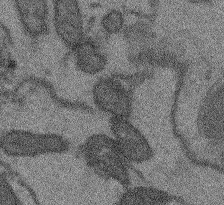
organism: Arabidopsis thaliana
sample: Root tip